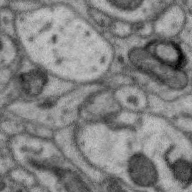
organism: Zebra finch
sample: Brain